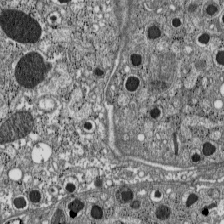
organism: C57BL Mouse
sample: Pancreatic islet